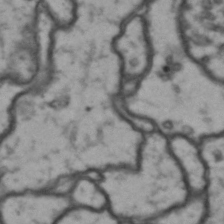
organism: Drosophila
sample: Brain